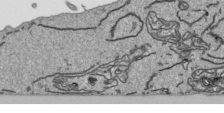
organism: Human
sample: Mitochondria in HCT116 cells